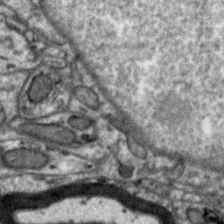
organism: Zebra finch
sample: Brain